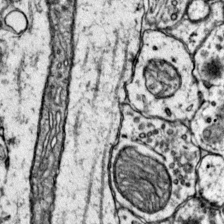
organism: Mouse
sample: Primary visual cortex